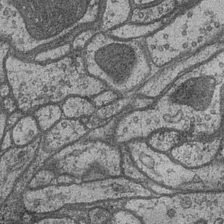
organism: Drosophila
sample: Optic medulla